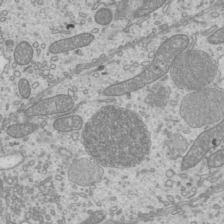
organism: Mouse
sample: Cilia; mouse epididymis